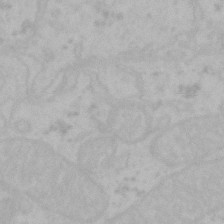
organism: Mouse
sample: Choroid plexus